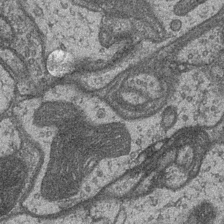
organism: Drosophila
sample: Optic medulla